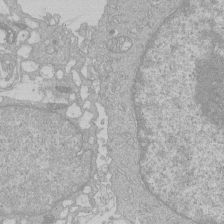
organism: Human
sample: Macrophage cells